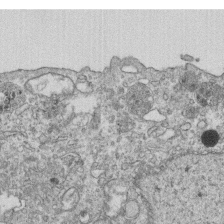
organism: Human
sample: HeLa cell HIV synapse